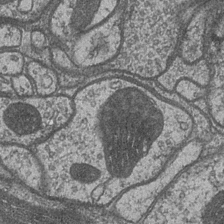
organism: Drosophila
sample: Optic medulla